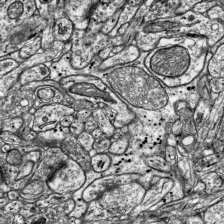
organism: Mouse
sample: Visual Cortex